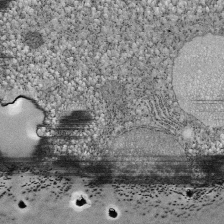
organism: Tetrahymena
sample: Cilia in tetrahymena